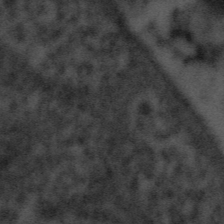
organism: Tuwongella immobilis